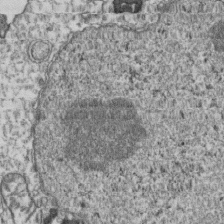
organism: Human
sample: Activated Jurkat CD4+ T cells